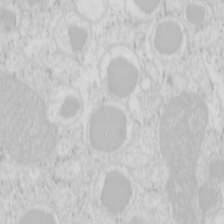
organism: Mouse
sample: Pancreas